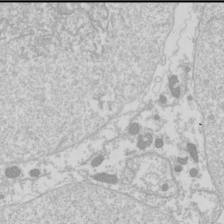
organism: Drosophila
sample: Cell division; meiosis; drosophila spermatocytes